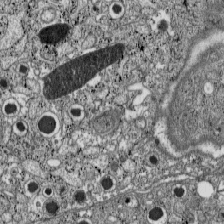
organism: C57BL Mouse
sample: Pancreatic islet